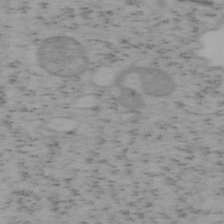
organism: Mouse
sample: OT-I killer T cells with ID8 ovarian cancer cells